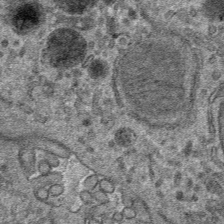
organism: Mouse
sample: Mouse hepatocytes